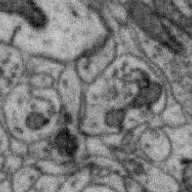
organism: Zebra finch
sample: Brain